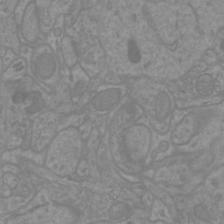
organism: Mouse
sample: Cortical neurons